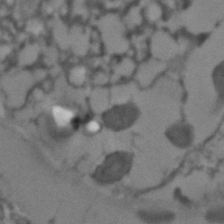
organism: C. elegans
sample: C. elegans embryo